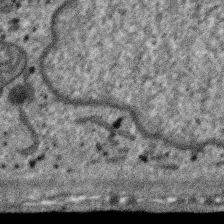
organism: Human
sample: Lung epithelial cells infected with SARS-CoV-2